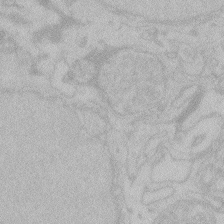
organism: Zebrafish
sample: Macrophage infected with Toxoplasma gondii